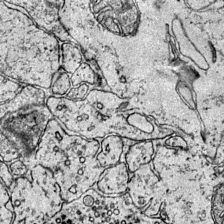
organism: Mouse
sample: Primary visual cortex